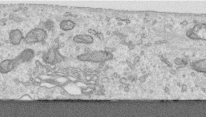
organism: Human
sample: Centriole in RPE cells